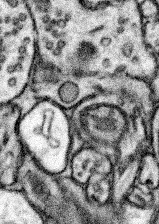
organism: Mouse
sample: Somatosensory cortex neuropil